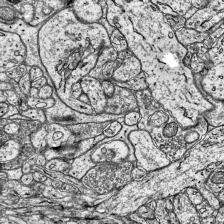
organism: Mouse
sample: Visual Cortex